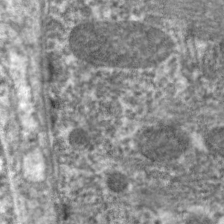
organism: C. elegans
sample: Pharynx